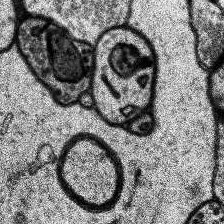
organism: Human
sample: Temporal Lobe